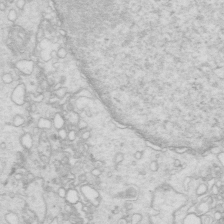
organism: Mouse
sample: Multiciliated cells